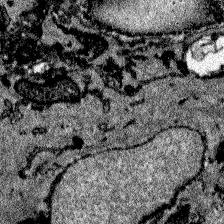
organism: Zebrafish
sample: Larval olfactory bulb